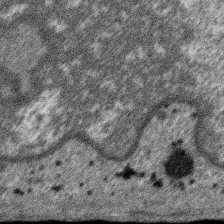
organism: Human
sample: Lung epithelial cells infected with SARS-CoV-2